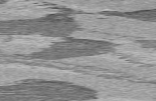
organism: C57BL Mouse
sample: Heart